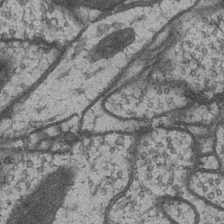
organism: Drosophila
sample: Optic medulla